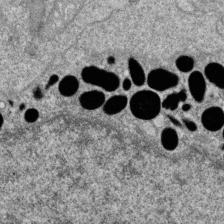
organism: Zebrafish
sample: Cilia; retinal pigment epithelium